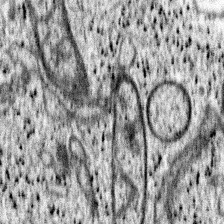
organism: Human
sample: HeLa cells